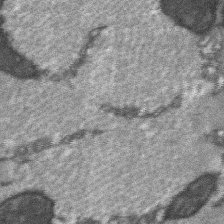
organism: C57BL Mouse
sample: Soleus